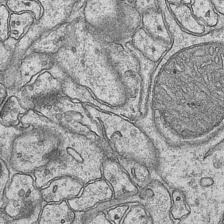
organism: Mouse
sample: CA1 Hippocampus